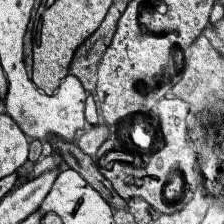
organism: Human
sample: Temporal Lobe